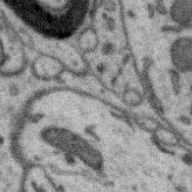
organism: Zebra finch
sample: Brain